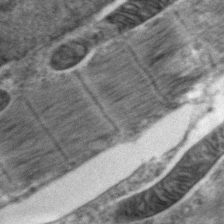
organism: Zebrafish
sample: Zebrafish embryo